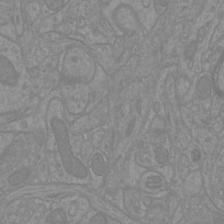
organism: Mouse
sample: Cortical neurons